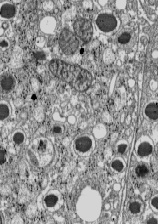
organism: C57BL Mouse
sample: Pancreatic islet